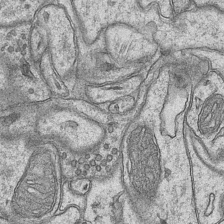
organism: Mouse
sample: CA1 Hippocampus